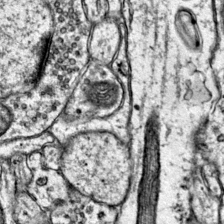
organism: Mouse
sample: Primary visual cortex